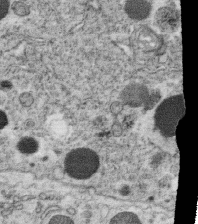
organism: C. elegans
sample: C. elegans oocyte; sperm cells